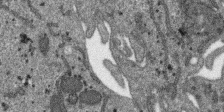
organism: Human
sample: Lung epithelial cells infected with SARS-CoV-2